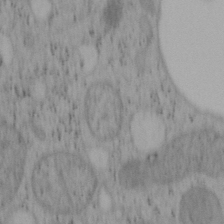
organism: Mouse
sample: OT-I killer T cells with ID8 ovarian cancer cells